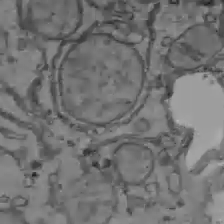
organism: C57BL Mouse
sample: Liver